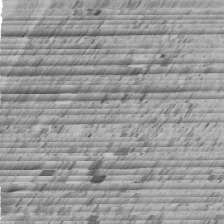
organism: C. elegans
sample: C. elegans embryo early stage